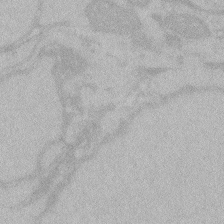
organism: Zebrafish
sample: Macrophage infected with Toxoplasma gondii